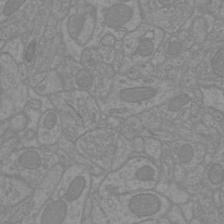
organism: Mouse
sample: Cortical neurons